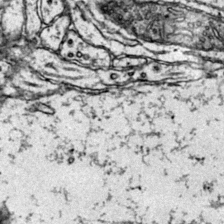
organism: Mouse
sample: Primary visual cortex